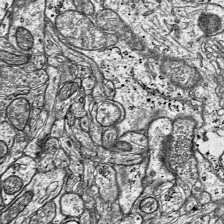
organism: Mouse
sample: Visual Cortex